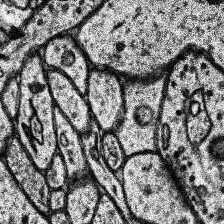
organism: Human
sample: Temporal Lobe